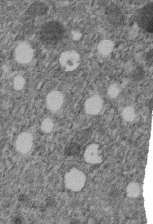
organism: C. elegans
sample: C. elegans embryo early stage